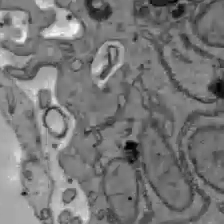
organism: C57BL Mouse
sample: Liver